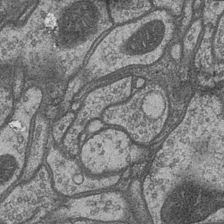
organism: Drosophila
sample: Optic medulla